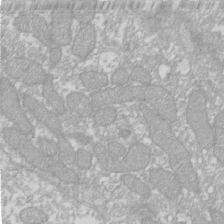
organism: Xenopus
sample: Cilia; centrioles in frog embryo cells